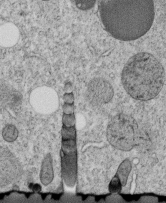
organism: C. elegans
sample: C. elegans embryo early stage